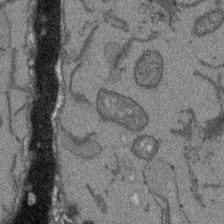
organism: Arabidopsis thaliana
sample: Root tip